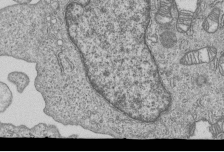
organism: Human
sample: MDA-MB-231 cells